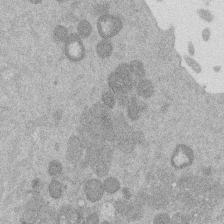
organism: Mouse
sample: Dividing mouse embryo 1 cell stage